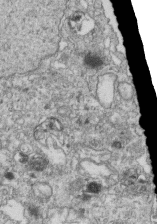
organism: Human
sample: HeLa cell HIV synapse